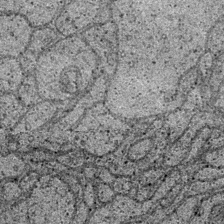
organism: Drosophila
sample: Optic medulla